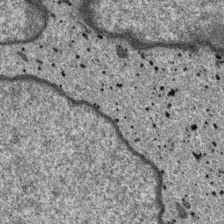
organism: Human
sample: Lung epithelial cells, uninfected (mock) control